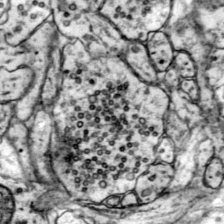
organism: Mouse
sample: Primary visual cortex